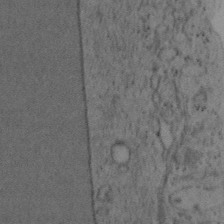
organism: Human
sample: HeLa cells